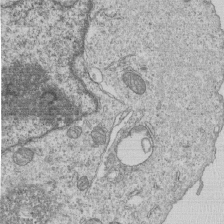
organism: Human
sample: MDA-MB-231 cells